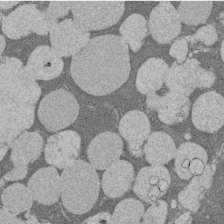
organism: Rat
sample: Salivary granule